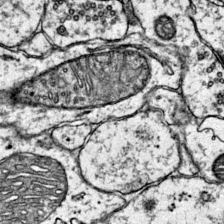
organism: Mouse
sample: Primary visual cortex